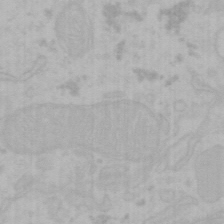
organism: Mouse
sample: Choroid plexus